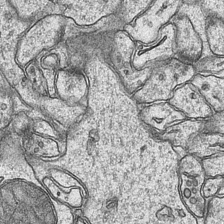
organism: Mouse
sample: CA1 Hippocampus